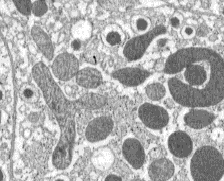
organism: C57BL Mouse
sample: Pancreatic islet